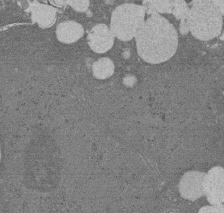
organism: Rat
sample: Salivary granule